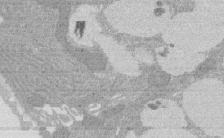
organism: Rat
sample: Salivary granule